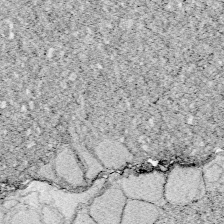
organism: Zebrafish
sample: Whole-Brain